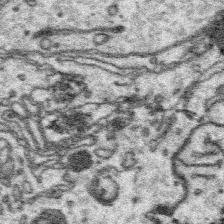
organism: Platynereis dumerilii